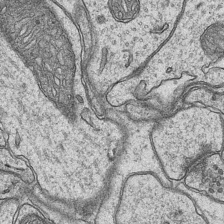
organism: Mouse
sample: CA1 Hippocampus